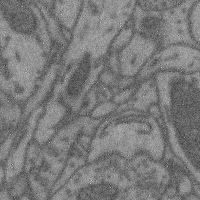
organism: Mouse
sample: Cerebral cortex